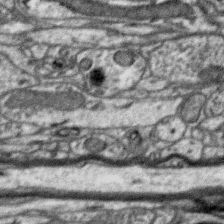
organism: Zebra finch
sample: Brain